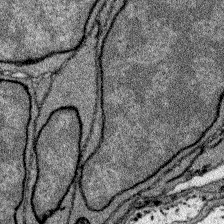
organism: Zebrafish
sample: Larval olfactory bulb